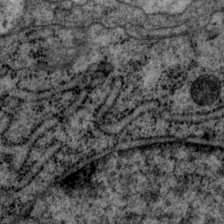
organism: P. pacificus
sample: Pharynx